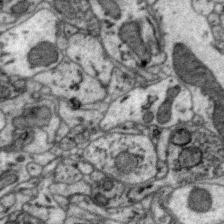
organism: Zebra finch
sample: Brain